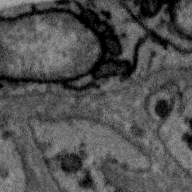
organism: Zebra finch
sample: Brain